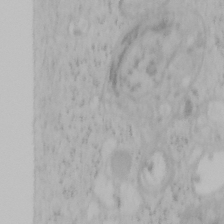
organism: Mouse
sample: OT-I killer T cells with ID8 ovarian cancer cells